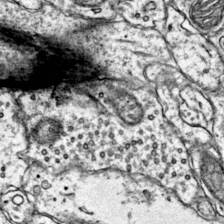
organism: Mouse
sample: Primary visual cortex